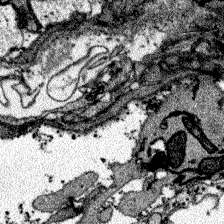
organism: Zebrafish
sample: Larval olfactory bulb